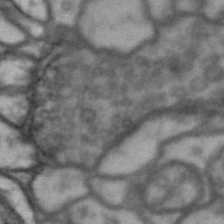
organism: Drosophila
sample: Brain